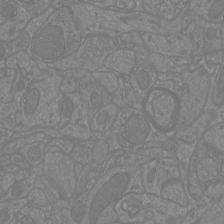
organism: Mouse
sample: Cortical neurons